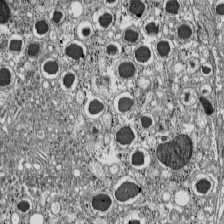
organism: C57BL Mouse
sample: Pancreatic islet